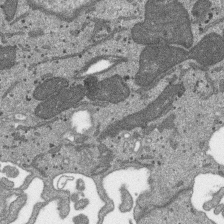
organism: Human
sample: Lung epithelial cells infected with SARS-CoV-2